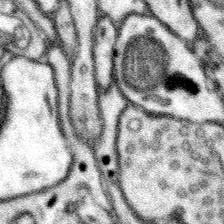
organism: Mouse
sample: Somatosensory cortex neuropil